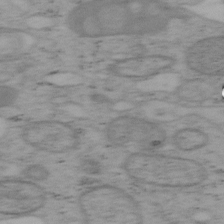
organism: Mouse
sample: OT-I killer T cells with ID8 ovarian cancer cells